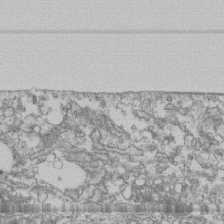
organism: Human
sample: Fibroblast cells